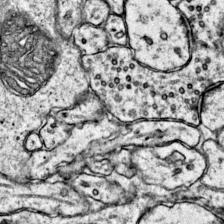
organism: Mouse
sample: Primary visual cortex